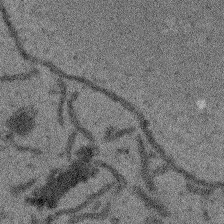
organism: Arabidopsis thaliana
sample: Root tip